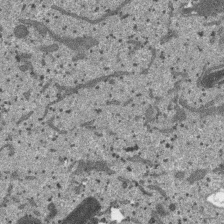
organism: Human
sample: Lung epithelial cells infected with SARS-CoV-2